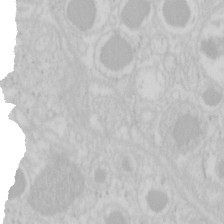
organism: Mouse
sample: Pancreas